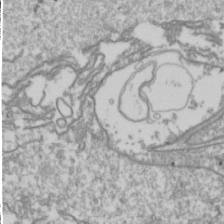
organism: Drosophila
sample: Cell division; meiosis; drosophila spermatocytes